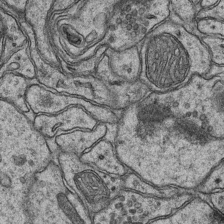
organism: Mouse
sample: CA1 Hippocampus